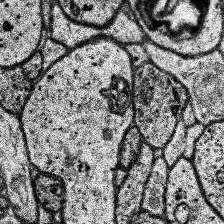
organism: Human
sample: Temporal Lobe